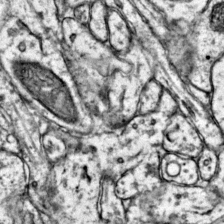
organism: Mouse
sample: Primary visual cortex